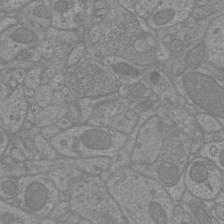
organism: Mouse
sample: Cortical neurons